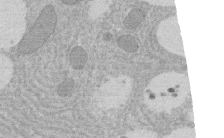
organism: Rat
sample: Salivary granule